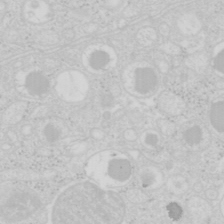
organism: Mouse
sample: Pancreas